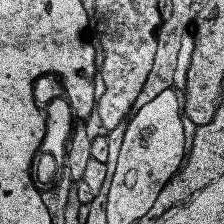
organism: Human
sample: Temporal Lobe